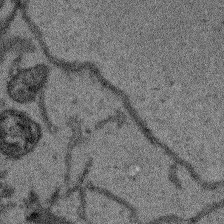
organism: Arabidopsis thaliana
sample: Root tip